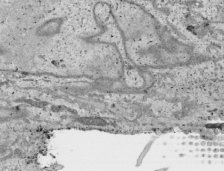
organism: Human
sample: Mitochondria in HCT116 cells